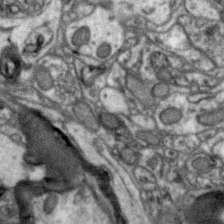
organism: Zebra finch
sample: Brain